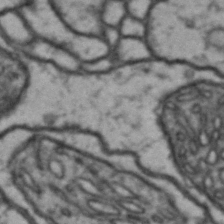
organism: Drosophila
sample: Brain